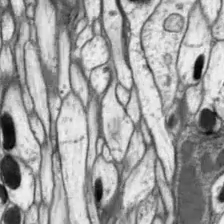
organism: Drosophila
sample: Optic lobe